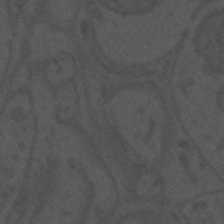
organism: Mouse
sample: Suprachiasmatic nucleus